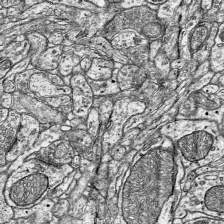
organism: Mouse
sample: Visual Cortex